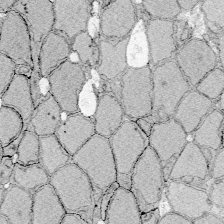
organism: Zebrafish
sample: Whole-Brain